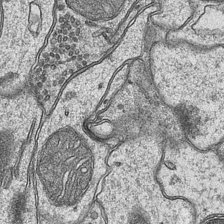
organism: Mouse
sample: CA1 Hippocampus